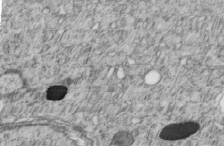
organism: C. elegans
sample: C. elegans embryo early stage